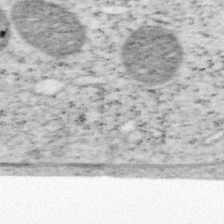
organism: Mouse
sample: OT-I killer T cells with ID8 ovarian cancer cells